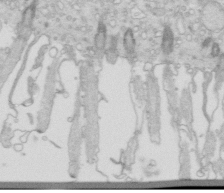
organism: Mouse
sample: Multiciliated cells